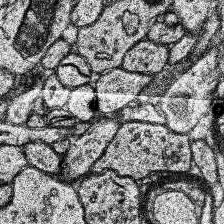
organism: Human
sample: Temporal Lobe